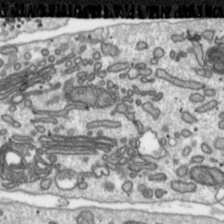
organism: Toxoplasma gondii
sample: Parasites in a vacuole inside a host cell